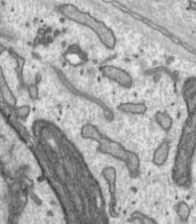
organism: Toxoplasma gondii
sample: Parasites in a vacuole inside a host cell